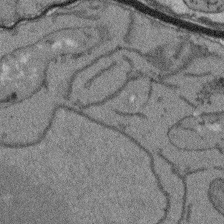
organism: Arabidopsis thaliana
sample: Root tip